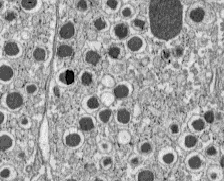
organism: C57BL Mouse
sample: Pancreatic islet